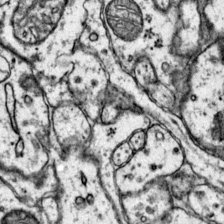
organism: Mouse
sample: Primary visual cortex